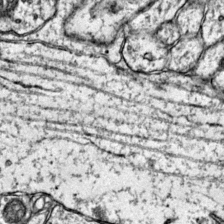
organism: Mouse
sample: Primary visual cortex